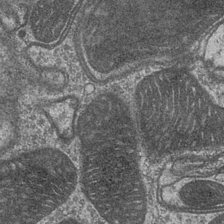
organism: Drosophila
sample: Optic medulla